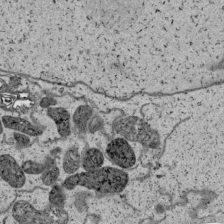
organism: Human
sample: Mitochondria in HCT116 cells